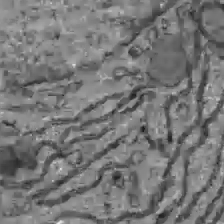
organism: C57BL Mouse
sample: Liver